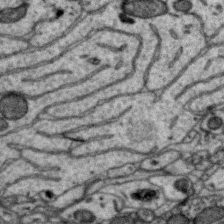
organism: Zebra finch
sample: Brain